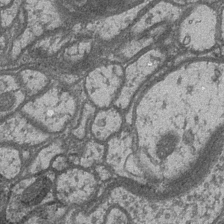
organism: Drosophila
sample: Optic medulla